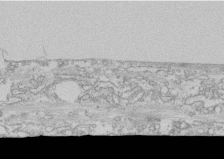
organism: Human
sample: CRL-1474